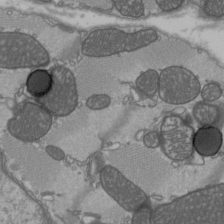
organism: C57BL Mouse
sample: Heart